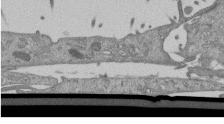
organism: Mouse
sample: ED-1 cell nuclei; centrioles